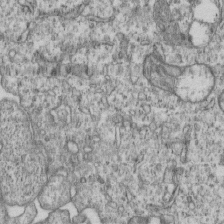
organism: Human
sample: MDA-MB-231 cells